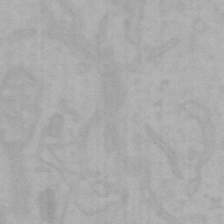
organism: Mouse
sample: Choroid plexus